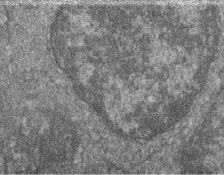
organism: Zebrafish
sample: Cilia; retinal pigment epithelium